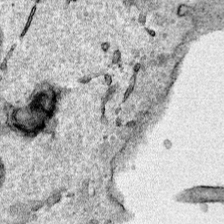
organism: Human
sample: Mitochondria in HCT116 cells